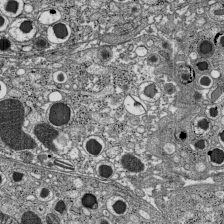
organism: C57BL Mouse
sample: Pancreatic islet